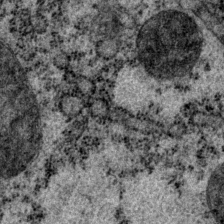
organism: P. pacificus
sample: Pharynx